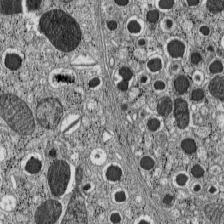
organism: C57BL Mouse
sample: Pancreatic islet